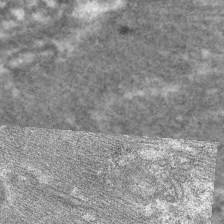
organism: C. elegans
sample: Pharynx